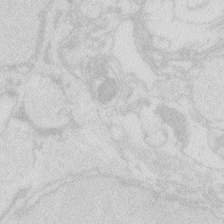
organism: Zebrafish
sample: Macrophage